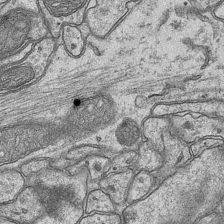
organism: Mouse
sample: CA1 Hippocampus